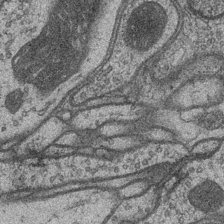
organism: Drosophila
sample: Optic medulla